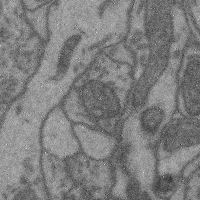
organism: Mouse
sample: Cerebral cortex